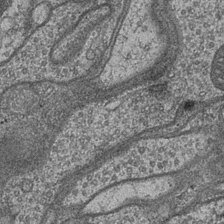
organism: Drosophila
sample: Optic medulla